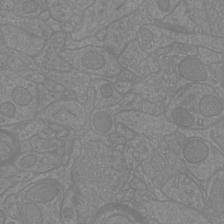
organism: Mouse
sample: Cortical neurons